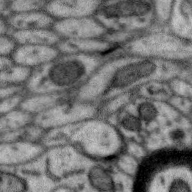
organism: Zebra finch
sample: Brain